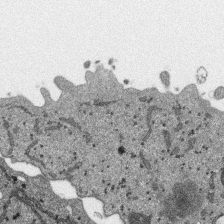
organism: Human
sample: Lung epithelial cells infected with SARS-CoV-2